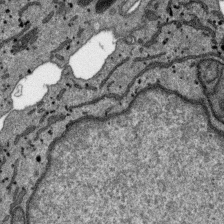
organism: Human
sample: Lung epithelial cells, uninfected (mock) control